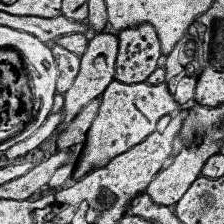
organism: Human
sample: Temporal Lobe